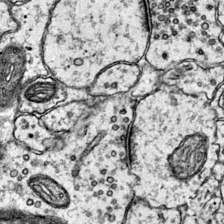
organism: Mouse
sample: Primary visual cortex